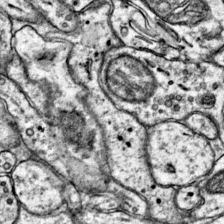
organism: Mouse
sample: Primary visual cortex